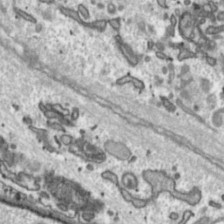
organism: Toxoplasma gondii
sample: Parasites in a vacuole inside a host cell